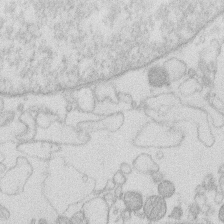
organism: Human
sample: Macrophage cells